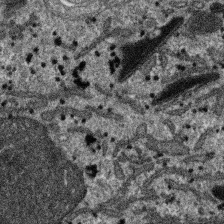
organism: Human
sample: Lung epithelial cells infected with SARS-CoV-2